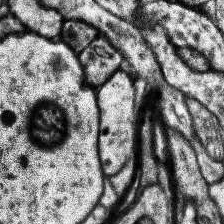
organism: Human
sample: Temporal Lobe